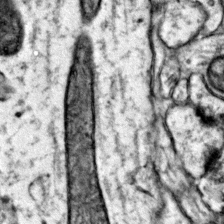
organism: Mouse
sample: Primary visual cortex